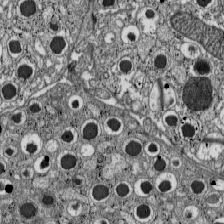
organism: C57BL Mouse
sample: Pancreatic islet